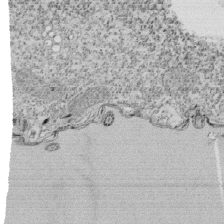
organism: Tetrahymena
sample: Cilia in tetrahymena